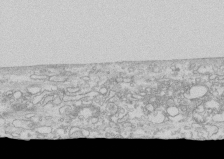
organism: Human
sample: CRL-1474